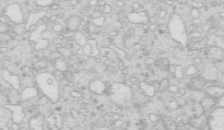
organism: Mouse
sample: Multiciliated cells